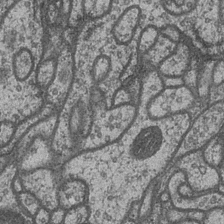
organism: Drosophila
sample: Optic medulla